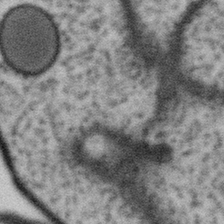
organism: Gemmata obscuriglobus